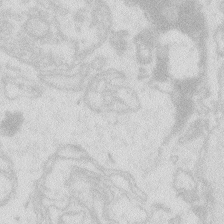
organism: Zebrafish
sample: Macrophage